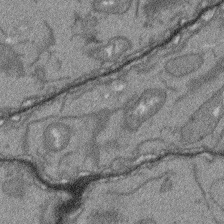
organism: Arabidopsis thaliana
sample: Root tip